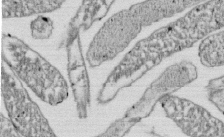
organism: E. coli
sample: Bacterial nucleoid